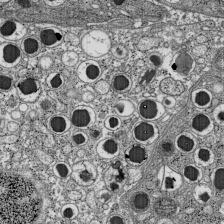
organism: C57BL Mouse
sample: Pancreatic islet